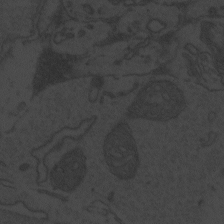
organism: Zebrafish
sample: Macrophage infected with Toxoplasma gondii